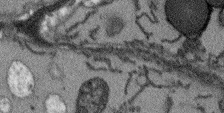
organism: Arabidopsis thaliana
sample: Root tip